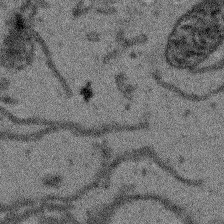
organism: Arabidopsis thaliana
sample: Root tip